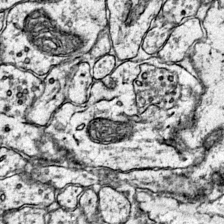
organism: Mouse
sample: Primary visual cortex